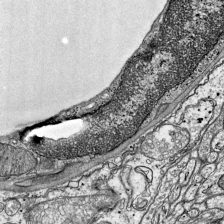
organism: Mouse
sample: Visual Cortex